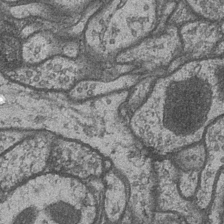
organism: Drosophila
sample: Optic medulla